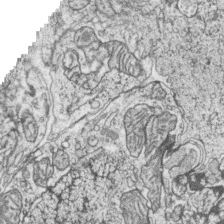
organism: Zebrafish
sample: synaptic ribbons in rod cells and cone cells